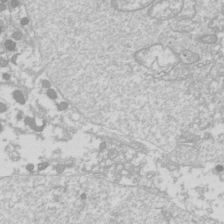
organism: Drosophila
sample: Cell division; meiosis; drosophila spermatocytes